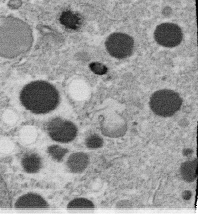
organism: C. elegans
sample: C. elegans oocyte; sperm cells